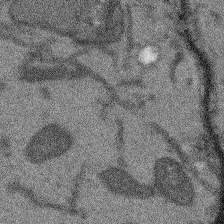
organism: Arabidopsis thaliana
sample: Root tip